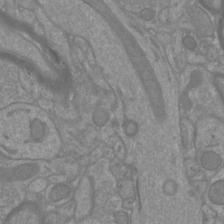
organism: Mouse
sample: Cortical neurons